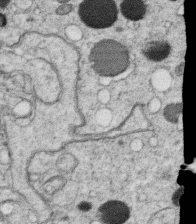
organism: C. elegans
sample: C. elegans oocyte; sperm cells